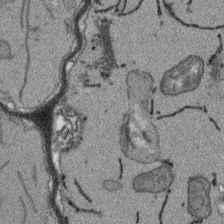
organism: Arabidopsis thaliana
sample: Root tip